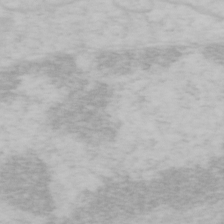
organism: Mouse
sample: OT-I killer T cells with ID8 ovarian cancer cells